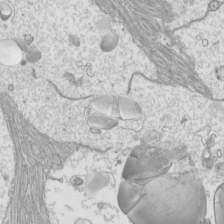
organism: Mouse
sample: Cilia; mouse epididymis